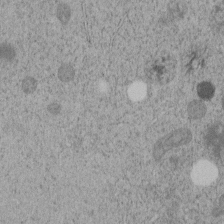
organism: C. elegans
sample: C. elegans embryo early stage